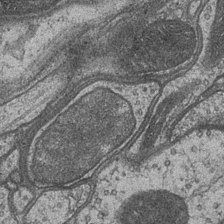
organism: Drosophila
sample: Optic medulla